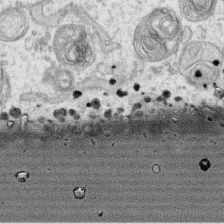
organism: Human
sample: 1205lu cells